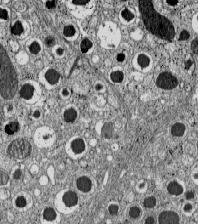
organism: C57BL Mouse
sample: Pancreatic islet